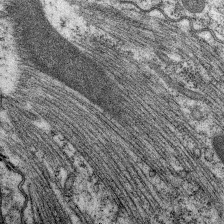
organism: C. elegans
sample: Pharynx